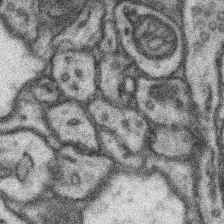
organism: Mouse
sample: Somatosensory cortex neuropil